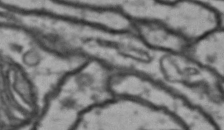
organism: Drosophila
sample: Brain